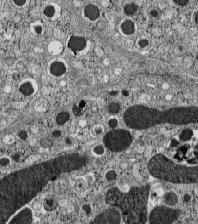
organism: C57BL Mouse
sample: Pancreatic islet